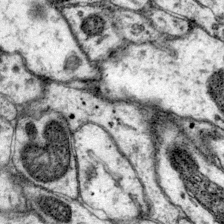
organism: Mouse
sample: Primary visual cortex